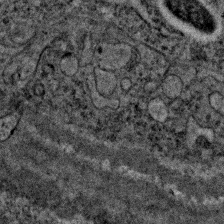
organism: C. elegans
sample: C. elegans embryo